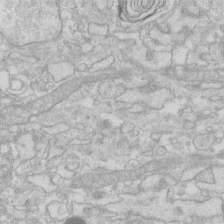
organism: Human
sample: Fibroblast cells